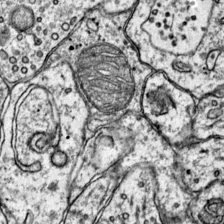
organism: Mouse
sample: Primary visual cortex